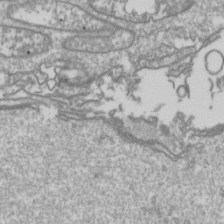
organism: Drosophila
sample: Cell division; meiosis; drosophila spermatocytes